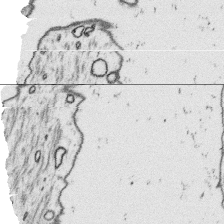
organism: Platynereis dumerilii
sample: Parapodia